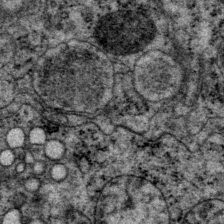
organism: P. pacificus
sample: Pharynx